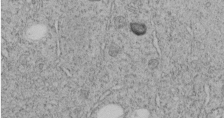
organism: C. elegans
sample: C. elegans embryo early stage